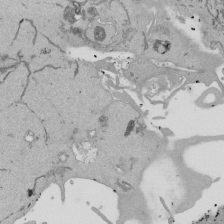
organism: Mouse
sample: ED-1 cell nuclei; centrioles